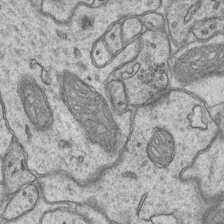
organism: Mouse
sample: CA1 Hippocampus